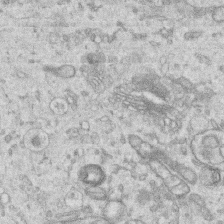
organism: Human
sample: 1205lu cells